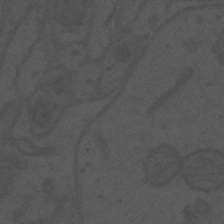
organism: Mouse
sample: Suprachiasmatic nucleus